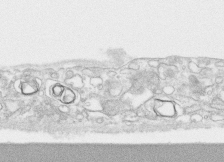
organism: Human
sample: CRL-1474